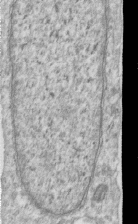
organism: Human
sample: Centriole in RPE cells